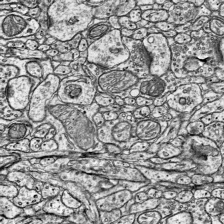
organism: Mouse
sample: Visual Cortex